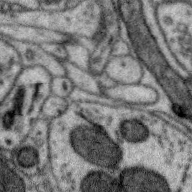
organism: Zebra finch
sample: Brain